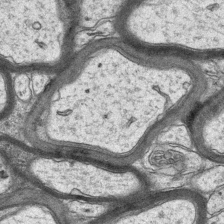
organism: Mouse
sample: CA1 Hippocampus